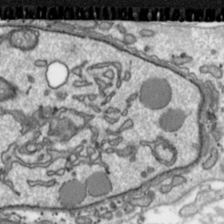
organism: Toxoplasma gondii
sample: Parasites in a vacuole inside a host cell